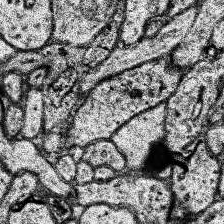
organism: Human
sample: Temporal Lobe